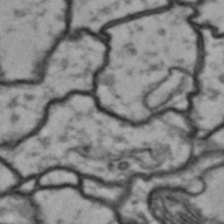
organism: Drosophila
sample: Brain